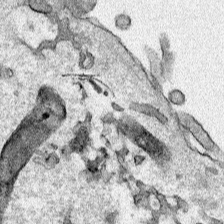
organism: Human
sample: Mitochondria in HCT116 cells